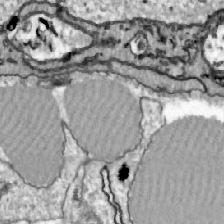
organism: Zebrafish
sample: Actinotrichia fibers